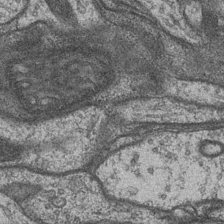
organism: Drosophila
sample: Optic medulla